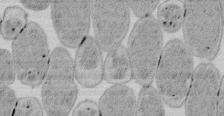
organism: E. coli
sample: Bacterial nucleoid